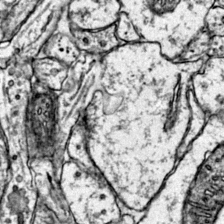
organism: Mouse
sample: Primary visual cortex